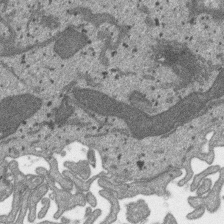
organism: Human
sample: Lung epithelial cells infected with SARS-CoV-2